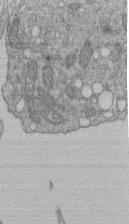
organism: Human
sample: Retinal organoid Rod and Cone cells